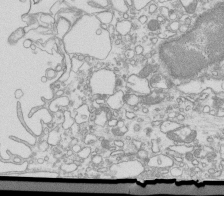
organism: Mouse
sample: Macrophages